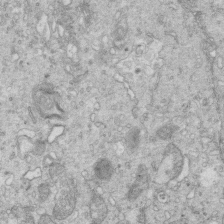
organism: Mouse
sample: Multiciliated cells